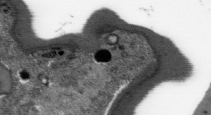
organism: Plasmodium falciparum